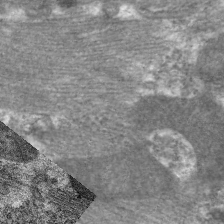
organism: C. elegans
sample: Pharynx